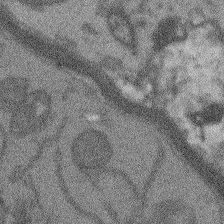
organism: Arabidopsis thaliana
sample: Root tip